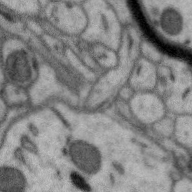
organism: Zebra finch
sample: Brain